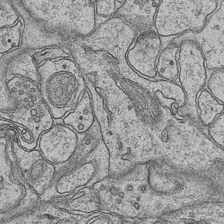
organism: Mouse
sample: CA1 Hippocampus